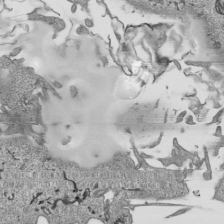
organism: Human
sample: Mitochondria in HCT116 cells